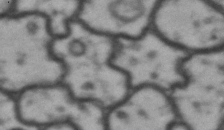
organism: Drosophila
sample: Brain